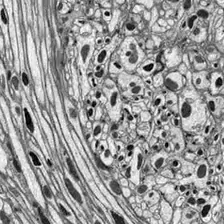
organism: Drosophila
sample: Optic lobe